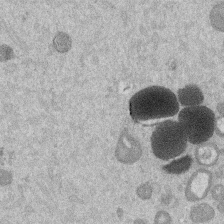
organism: Mouse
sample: Dividing mouse embryo 1 cell stage